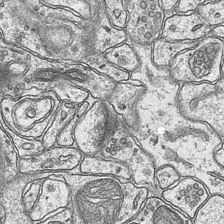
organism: Mouse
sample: CA1 Hippocampus